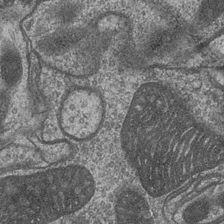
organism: Drosophila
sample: Optic medulla